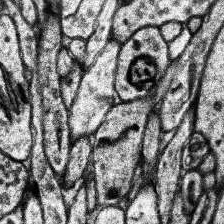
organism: Human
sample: Temporal Lobe